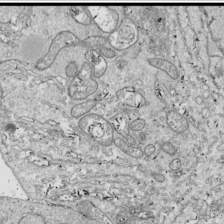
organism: Drosophila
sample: Cell division; meiosis; drosophila spermatocytes